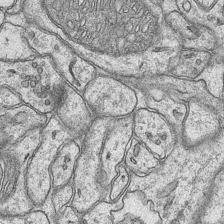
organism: Mouse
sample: CA1 Hippocampus